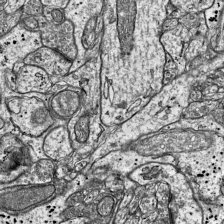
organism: Mouse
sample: Visual Cortex